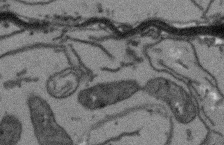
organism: Arabidopsis thaliana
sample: Root tip